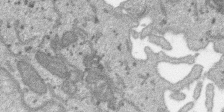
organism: Human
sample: Lung epithelial cells infected with SARS-CoV-2